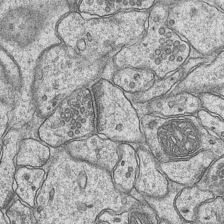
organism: Mouse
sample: CA1 Hippocampus